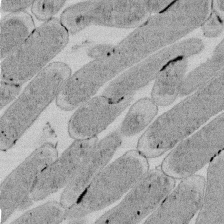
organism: E. coli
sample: Bacterial nucleoid